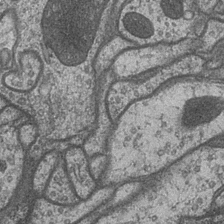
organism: Drosophila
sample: Optic medulla